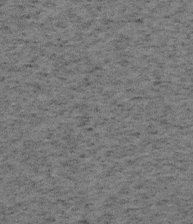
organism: Mouse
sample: OT-I killer T cells with ID8 ovarian cancer cells